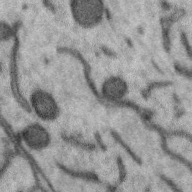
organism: Zebra finch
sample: Brain